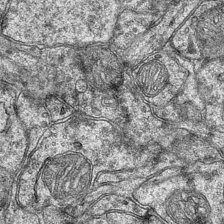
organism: Mouse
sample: CA1 Hippocampus